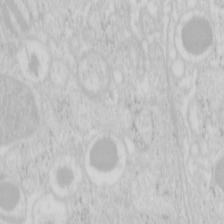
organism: Mouse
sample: Pancreas